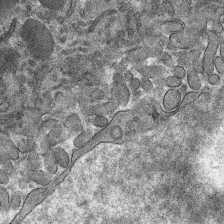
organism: Mouse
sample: Mouse hepatocytes